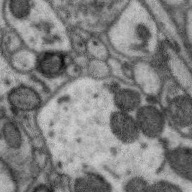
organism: Zebra finch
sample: Brain